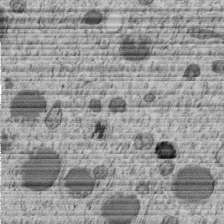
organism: C. elegans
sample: C. elegans embryo early stage